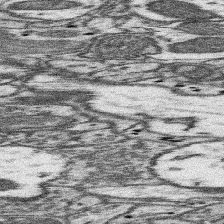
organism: Mouse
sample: Somatosensory cortex neuropil